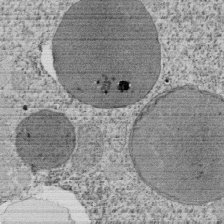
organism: Tetrahymena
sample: Cilia in tetrahymena